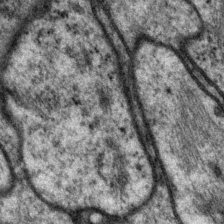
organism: P. pacificus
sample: Pharynx